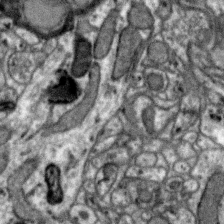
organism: Zebra finch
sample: Brain